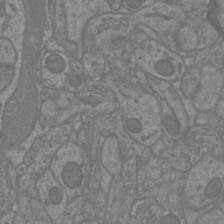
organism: Mouse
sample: Cortical neurons